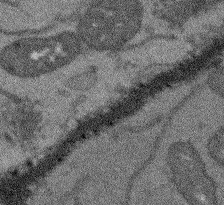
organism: Arabidopsis thaliana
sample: Root tip